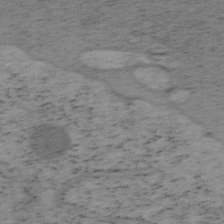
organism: Mouse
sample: OT-I killer T cells with ID8 ovarian cancer cells